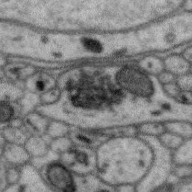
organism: Zebra finch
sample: Brain